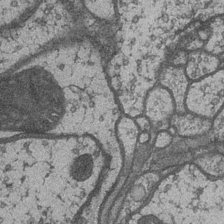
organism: Drosophila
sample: Optic medulla